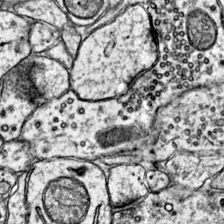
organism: Mouse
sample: Primary visual cortex